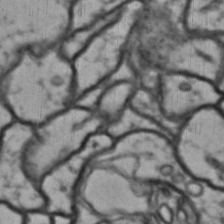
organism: Drosophila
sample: Brain